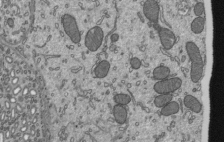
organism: Mouse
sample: Mouse epididymis efferent ductule cilia